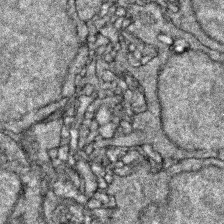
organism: Zebrafish